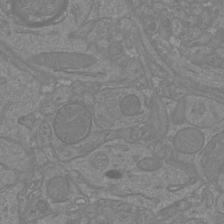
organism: Mouse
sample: Cortical neurons